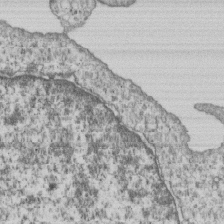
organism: Human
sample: MDA-MB-231 cells